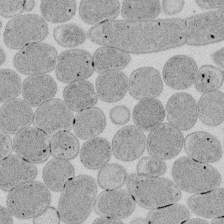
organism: E. coli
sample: Bacterial nucleoid